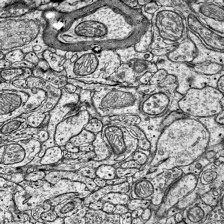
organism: Mouse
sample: Visual Cortex